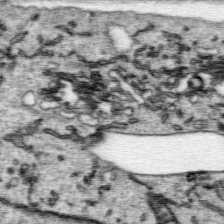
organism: Human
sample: HeLa cells